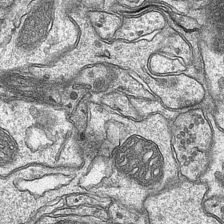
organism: Mouse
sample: CA1 Hippocampus